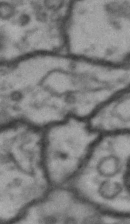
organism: Drosophila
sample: Brain